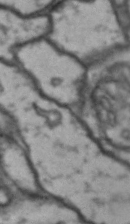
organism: Drosophila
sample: Brain